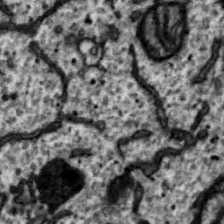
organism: Human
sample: HeLa cells